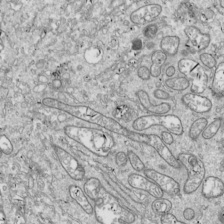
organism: Drosophila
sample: Cell division; meiosis; drosophila spermatocytes